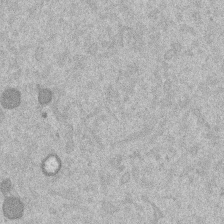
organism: Mouse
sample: Dividing mouse embryo 1 cell stage